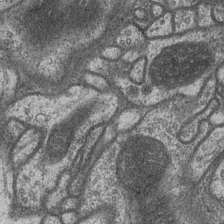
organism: Drosophila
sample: Optic medulla